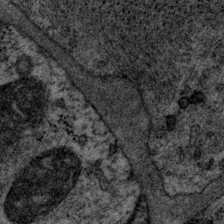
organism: P. pacificus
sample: Pharynx